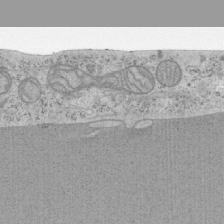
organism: Human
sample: HeLa cells